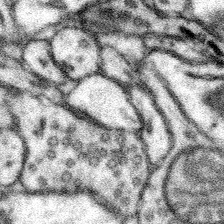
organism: Mouse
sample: Somatosensory cortex neuropil